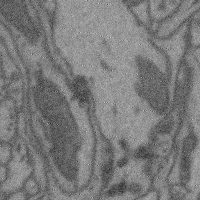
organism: Mouse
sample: Cerebral cortex